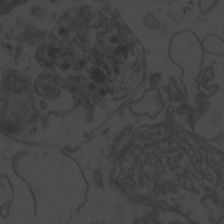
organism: Zebrafish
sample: Macrophage infected with Toxoplasma gondii